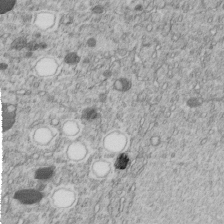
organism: C. elegans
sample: C. elegans embryo early stage